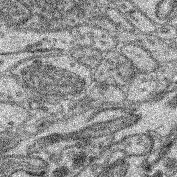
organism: Mouse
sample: Retina